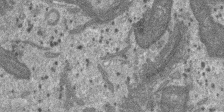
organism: Human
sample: Lung epithelial cells infected with SARS-CoV-2